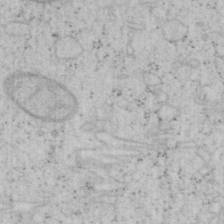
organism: Human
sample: HeLa cells